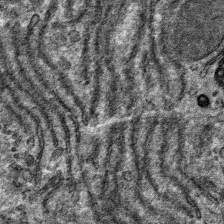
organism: Mouse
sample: Mouse hepatocytes